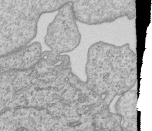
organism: Human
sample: MDA-MB-231 cells